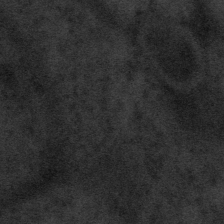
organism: Tuwongella immobilis